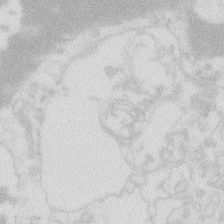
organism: Zebrafish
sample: Macrophage